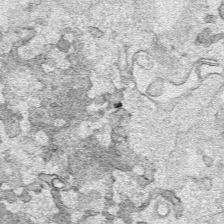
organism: Human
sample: Mitochondria in HCT116 cells